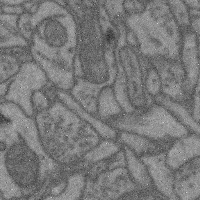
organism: Mouse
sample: Cerebral cortex